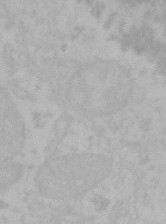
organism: Mouse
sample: Choroid plexus